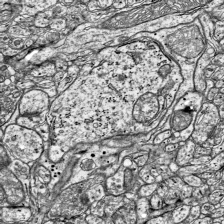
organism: Mouse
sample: Visual Cortex